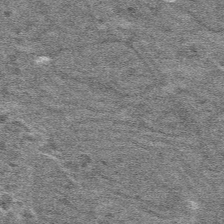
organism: Mouse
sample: Mouse hepatocytes